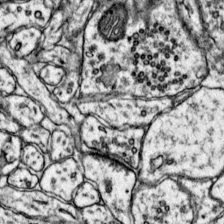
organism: Mouse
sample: Primary visual cortex